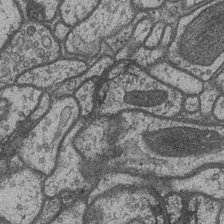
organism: Drosophila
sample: Optic medulla